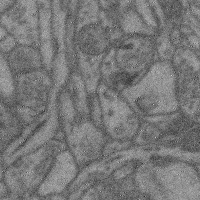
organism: Mouse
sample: Cerebral cortex